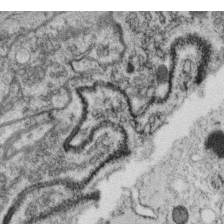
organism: C. elegans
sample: C. elegans oocyte; sperm cells